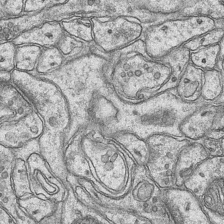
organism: Mouse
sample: CA1 Hippocampus